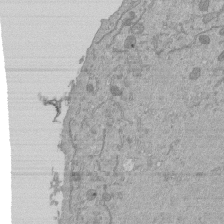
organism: Mouse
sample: ED-1 cell nuclei; centrioles